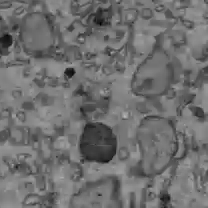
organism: C57BL Mouse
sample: Liver